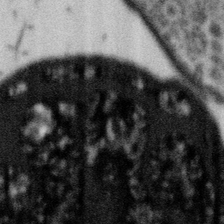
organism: Gemmata obscuriglobus